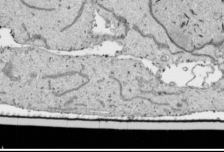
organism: Human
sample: Mitochondria in HCT116 cells